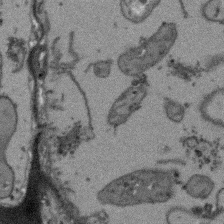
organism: Arabidopsis thaliana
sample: Root tip